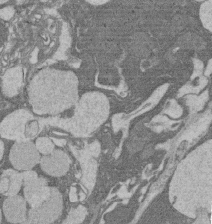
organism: Rat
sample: Salivary granule